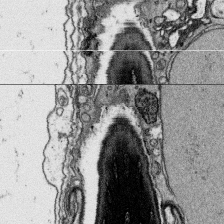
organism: Platynereis dumerilii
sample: Parapodia